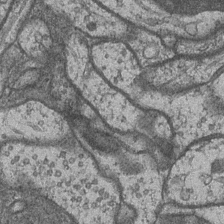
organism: Drosophila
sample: Optic medulla